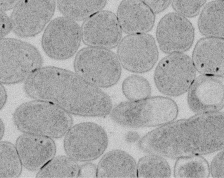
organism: E. coli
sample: Bacterial nucleoid